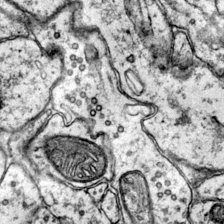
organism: Mouse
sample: Primary visual cortex